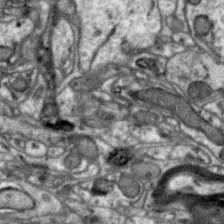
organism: Zebra finch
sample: Brain